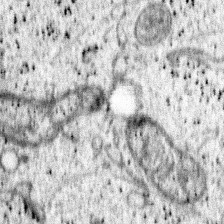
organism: Human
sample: HeLa cells